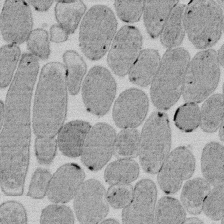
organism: E. coli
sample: Bacterial nucleoid